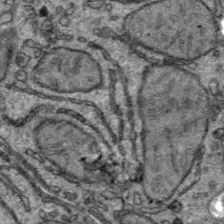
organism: C57BL Mouse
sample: Liver